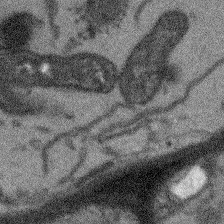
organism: Arabidopsis thaliana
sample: Root tip